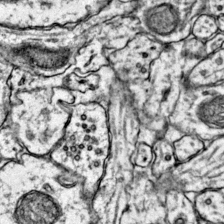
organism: Mouse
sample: Primary visual cortex